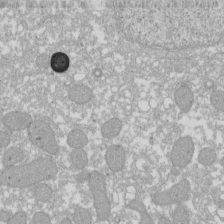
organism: Xenopus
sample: Cilia; centrioles in frog embryo cells